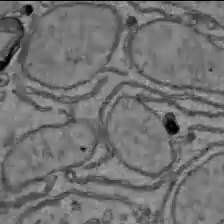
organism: C57BL Mouse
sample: Liver